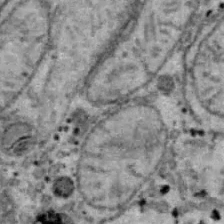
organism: Mouse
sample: Liver from an obese (ob/ob) mouse